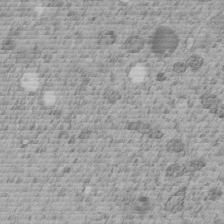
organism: C. elegans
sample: C. elegans embryo early stage